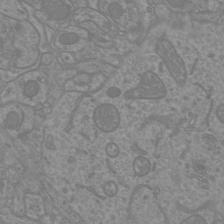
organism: Mouse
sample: Cortical neurons